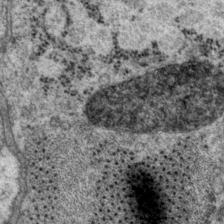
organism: P. pacificus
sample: Pharynx